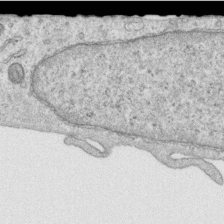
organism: Human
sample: Centriole in RPE cells